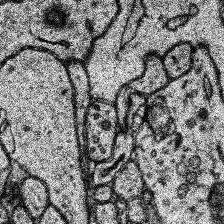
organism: Human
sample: Temporal Lobe